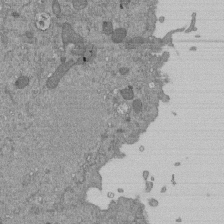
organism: Mouse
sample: ED-1 cell nuclei; centrioles